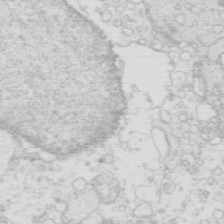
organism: Mouse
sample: Multiciliated cells